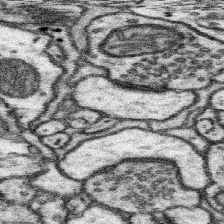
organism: Mouse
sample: Somatosensory cortex neuropil